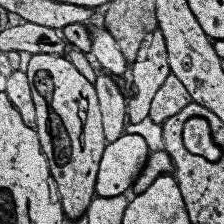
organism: Human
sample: Temporal Lobe